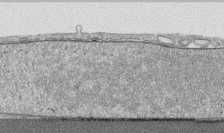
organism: Human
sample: CRL-1474